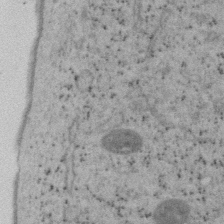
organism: Human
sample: HeLa cells